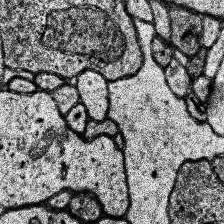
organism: Human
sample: Temporal Lobe